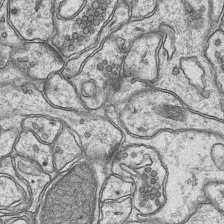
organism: Mouse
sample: CA1 Hippocampus